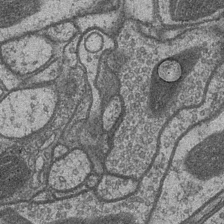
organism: Drosophila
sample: Optic medulla